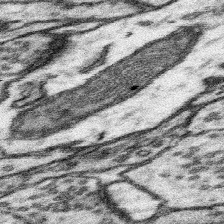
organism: Mouse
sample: Somatosensory cortex neuropil